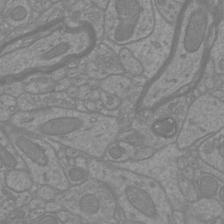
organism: Mouse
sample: Cortical neurons